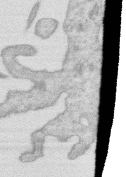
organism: Human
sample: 1205lu cells